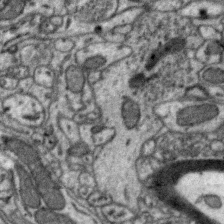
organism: Zebra finch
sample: Brain